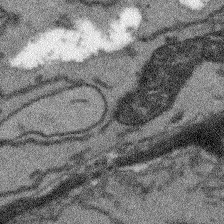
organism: Arabidopsis thaliana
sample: Root tip